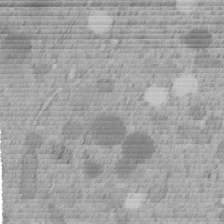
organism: C. elegans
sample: C. elegans embryo early stage